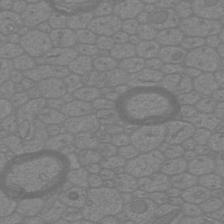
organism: Mouse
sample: Cortical neurons